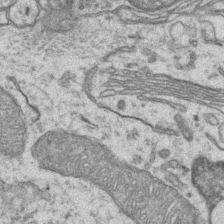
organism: Mouse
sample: CA1 Hippocampus